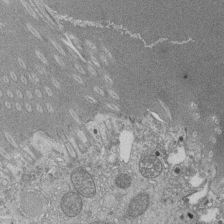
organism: Tetrahymena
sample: Cilia in tetrahymena